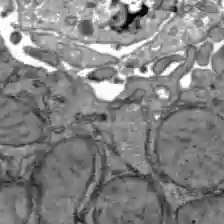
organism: C57BL Mouse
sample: Liver